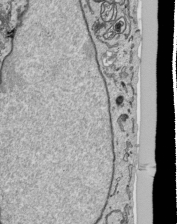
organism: Human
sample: Mitochondria in HCT116 cells